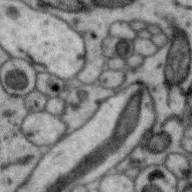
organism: Zebra finch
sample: Brain